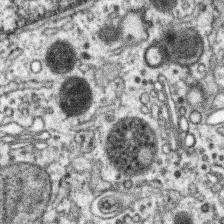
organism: Human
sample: HeLa cells